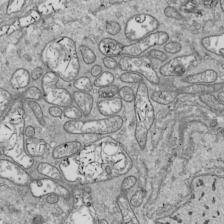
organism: Drosophila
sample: Cell division; meiosis; drosophila spermatocytes